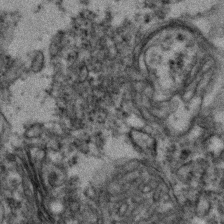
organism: Zebrafish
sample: Zebrafish embryo